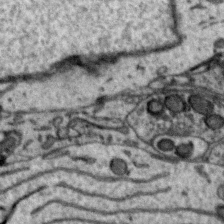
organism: Zebra finch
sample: Brain